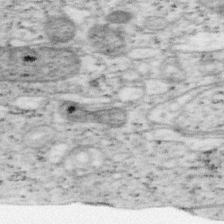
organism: Mouse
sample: OT-I killer T cells with ID8 ovarian cancer cells